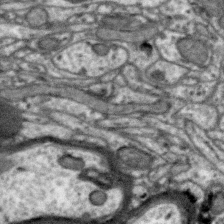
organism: Zebra finch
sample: Brain